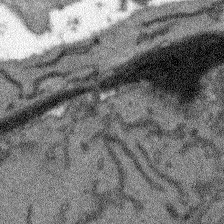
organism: Arabidopsis thaliana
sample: Root tip